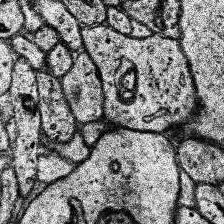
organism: Human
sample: Temporal Lobe